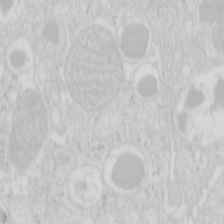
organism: Mouse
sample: Pancreas